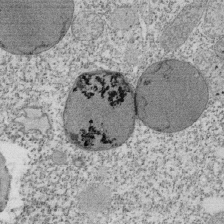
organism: Tetrahymena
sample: Cilia in tetrahymena